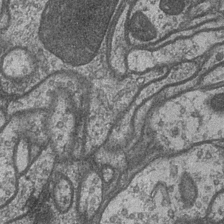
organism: Drosophila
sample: Optic medulla